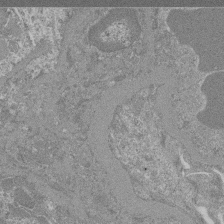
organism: Mouse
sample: Glomerulus